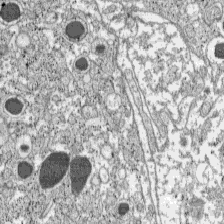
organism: C57BL Mouse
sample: Pancreatic islet